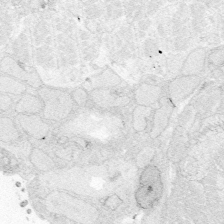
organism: Zebrafish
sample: Whole-Brain